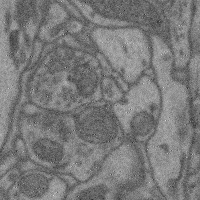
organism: Mouse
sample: Cerebral cortex